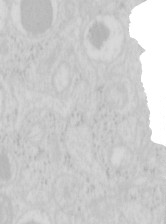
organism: Mouse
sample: Pancreas